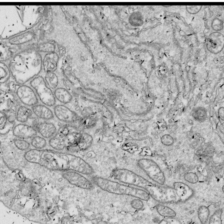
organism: Drosophila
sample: Cell division; meiosis; drosophila spermatocytes